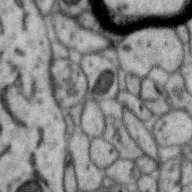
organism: Zebra finch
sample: Brain